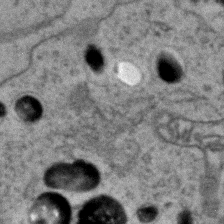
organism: Zebrafish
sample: Zebrafish embryo